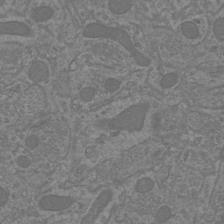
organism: Mouse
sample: Cortical neurons